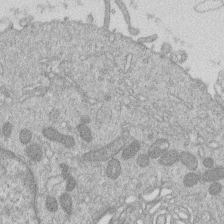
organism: Human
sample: Macrophage cells